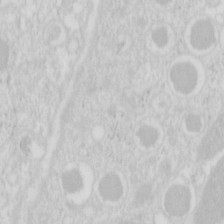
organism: Mouse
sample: Pancreas